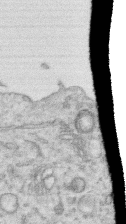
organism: Human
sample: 1205lu cells